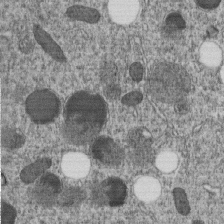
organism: C. elegans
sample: C. elegans embryo early stage